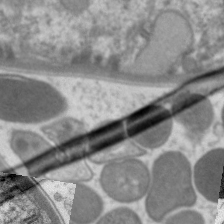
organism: C. elegans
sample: Pharynx